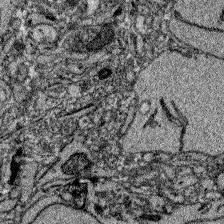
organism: Zebrafish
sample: Larval olfactory bulb